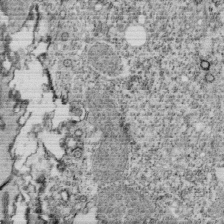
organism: Tetrahymena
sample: Cilia in tetrahymena